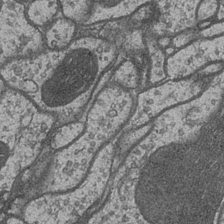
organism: Drosophila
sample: Optic medulla